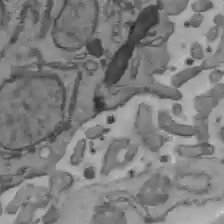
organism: C57BL Mouse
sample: Liver